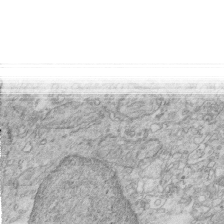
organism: Mouse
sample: Multiciliated cells